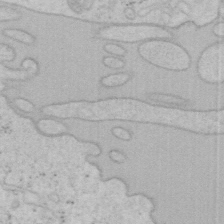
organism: Human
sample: HeLa cells